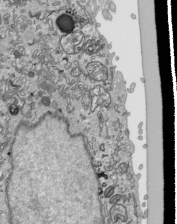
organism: Human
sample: Mitochondria in HCT116 cells